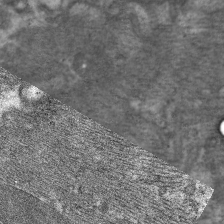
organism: C. elegans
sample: Pharynx